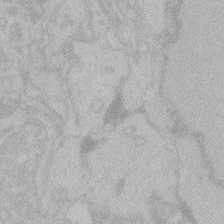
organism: Zebrafish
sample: Macrophage infected with Toxoplasma gondii